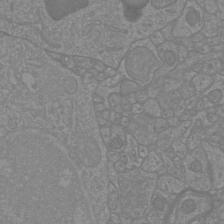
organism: Mouse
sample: Cortical neurons